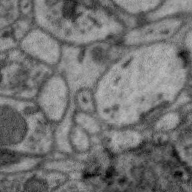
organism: Zebra finch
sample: Brain